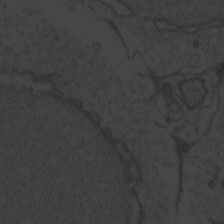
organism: Zebrafish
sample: Macrophage infected with Toxoplasma gondii